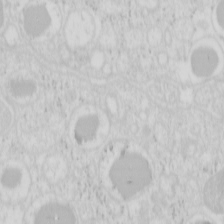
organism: Mouse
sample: Pancreas